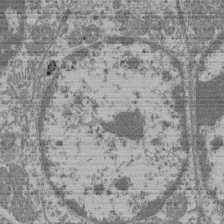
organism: Mouse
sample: Glomerulus